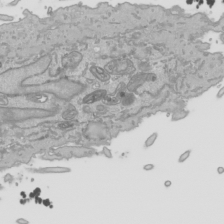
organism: Human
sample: Mitochondria in HCT116 cells